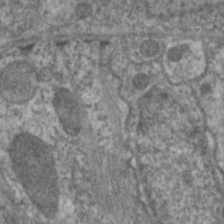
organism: C. elegans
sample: Pharynx